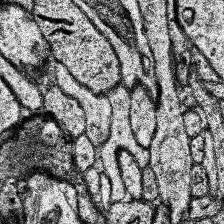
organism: Human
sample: Temporal Lobe